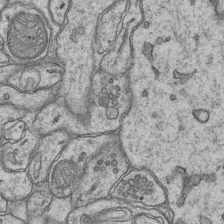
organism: Mouse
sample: CA1 Hippocampus